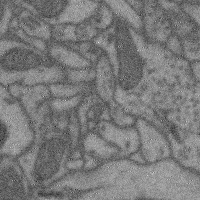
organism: Mouse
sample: Cerebral cortex